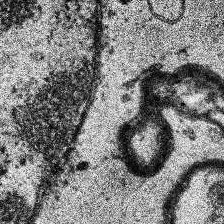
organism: Human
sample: Temporal Lobe